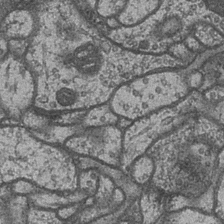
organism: Drosophila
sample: Optic medulla